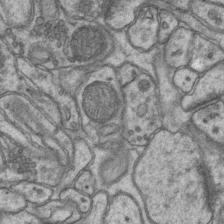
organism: Mouse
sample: CA1 Hippocampus